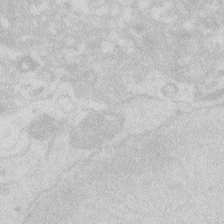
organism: Zebrafish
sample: Macrophage